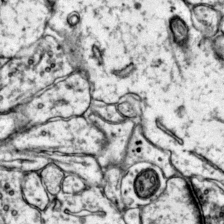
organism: Mouse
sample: Primary visual cortex